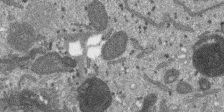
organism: Human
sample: Lung epithelial cells infected with SARS-CoV-2